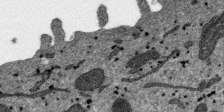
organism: Human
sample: Lung epithelial cells, uninfected (mock) control